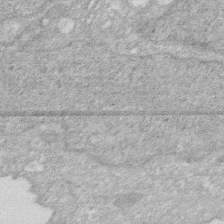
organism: Human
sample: HIV infected U937 cells